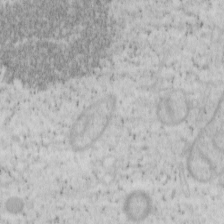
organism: Human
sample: HeLa cells